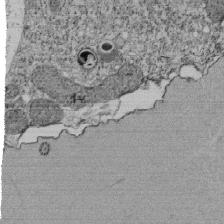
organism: Tetrahymena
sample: Cilia in tetrahymena